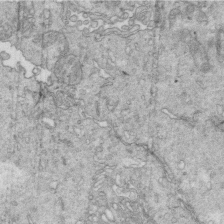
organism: Mouse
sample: Multiciliated cells